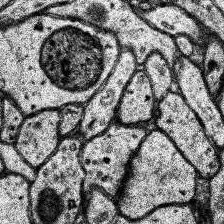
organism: Human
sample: Temporal Lobe